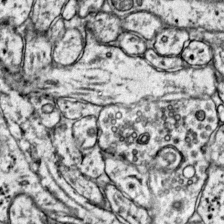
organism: Mouse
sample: Primary visual cortex